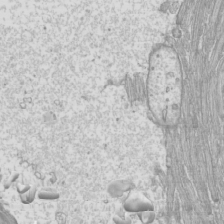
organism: Mouse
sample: Cilia; mouse epididymis